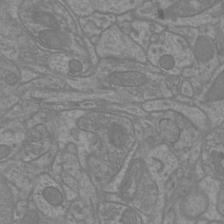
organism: Mouse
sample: Cortical neurons